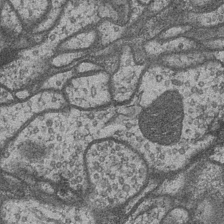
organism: Drosophila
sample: Optic medulla